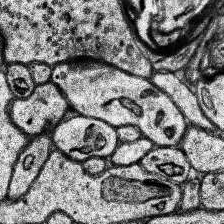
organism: Human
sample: Temporal Lobe